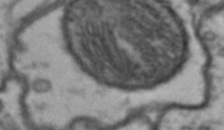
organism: Drosophila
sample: Brain